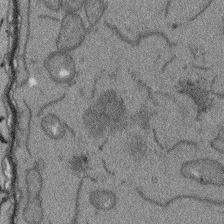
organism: Arabidopsis thaliana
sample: Root tip